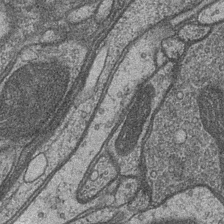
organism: Drosophila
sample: Optic medulla